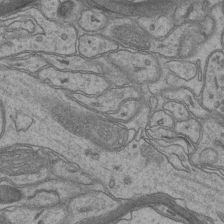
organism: Mouse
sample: CA1 Hippocampus